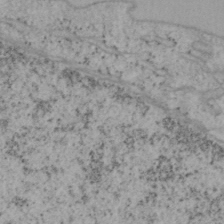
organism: Human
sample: HeLa cells